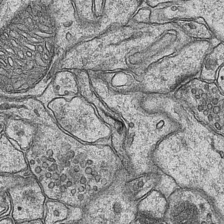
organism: Mouse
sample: CA1 Hippocampus